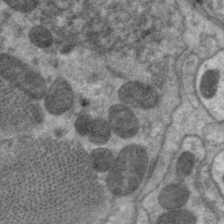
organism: C. elegans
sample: Pharynx